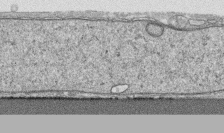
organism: Human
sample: CRL-1474